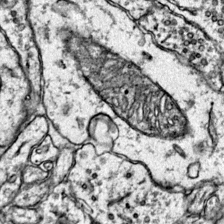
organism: Mouse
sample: Primary visual cortex